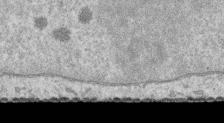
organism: Human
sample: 1205lu cells